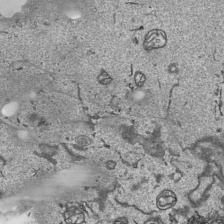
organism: Human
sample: Mitochondria in HCT116 cells